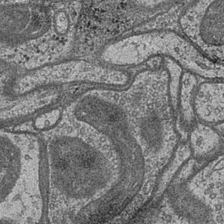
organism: Drosophila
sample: Optic medulla